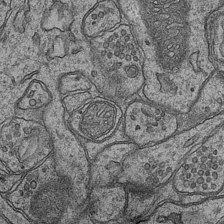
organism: Mouse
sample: CA1 Hippocampus